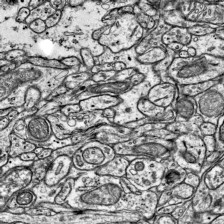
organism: Mouse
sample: Visual Cortex